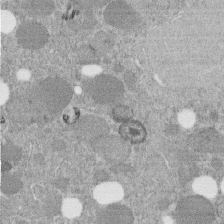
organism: C. elegans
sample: C. elegans embryo early stage